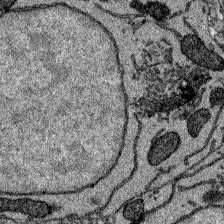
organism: Zebrafish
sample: Larval olfactory bulb